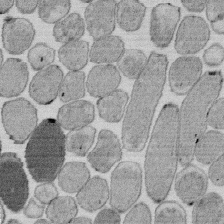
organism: E. coli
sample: Bacterial nucleoid